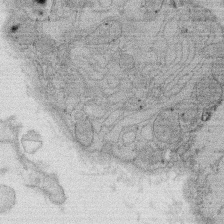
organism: Rat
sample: Salivary granule